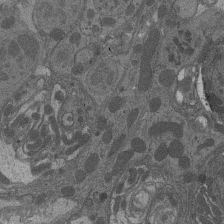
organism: Drosophila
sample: Antenna